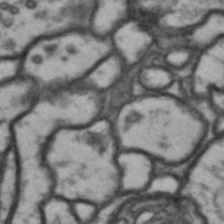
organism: Drosophila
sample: Brain